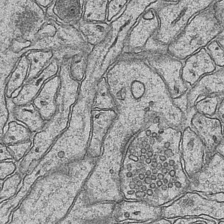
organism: Mouse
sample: CA1 Hippocampus